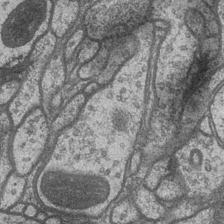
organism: Drosophila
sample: Optic medulla